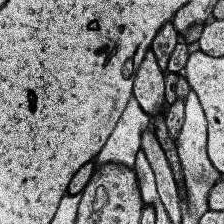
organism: Human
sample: Temporal Lobe